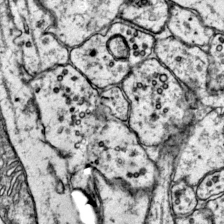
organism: Mouse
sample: Primary visual cortex